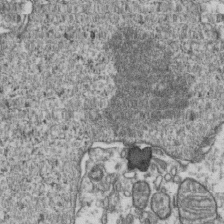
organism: Human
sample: Activated Jurkat CD4+ T cells